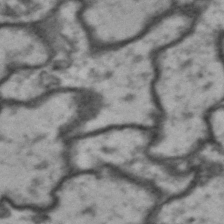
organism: Drosophila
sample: Brain